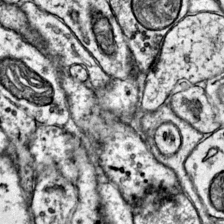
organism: Mouse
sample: Primary visual cortex